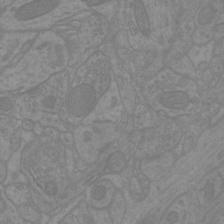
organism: Mouse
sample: Cortical neurons